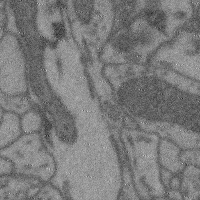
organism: Mouse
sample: Cerebral cortex